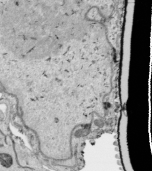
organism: Human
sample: Mitochondria in HCT116 cells